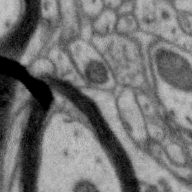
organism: Zebra finch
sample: Brain